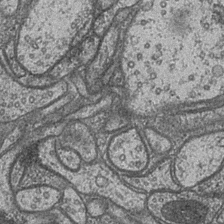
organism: Drosophila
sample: Optic medulla